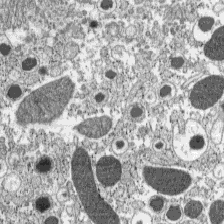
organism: C57BL Mouse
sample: Pancreatic islet